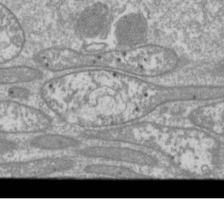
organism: Drosophila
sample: Cell division; meiosis; drosophila spermatocytes